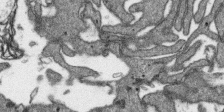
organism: Human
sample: Lung epithelial cells, uninfected (mock) control